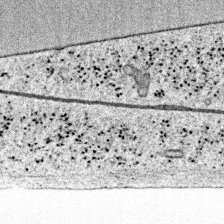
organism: Human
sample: HeLa cells